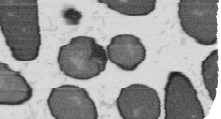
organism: B. subtilis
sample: Bacterial spore